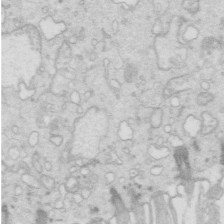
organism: Mouse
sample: Multiciliated cells